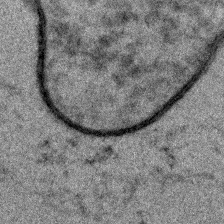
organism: C. elegans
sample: C. elegans embryo